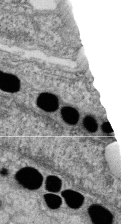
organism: Zebrafish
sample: Cilia; retinal pigment epithelium